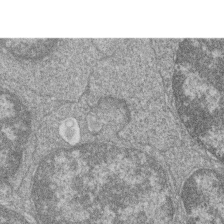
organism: Zebrafish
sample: Cilia; retinal pigment epithelium